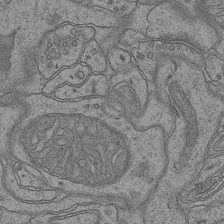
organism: Mouse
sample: CA1 Hippocampus